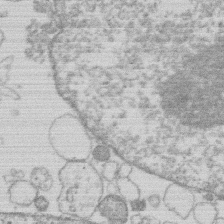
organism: Human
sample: Macrophage cells